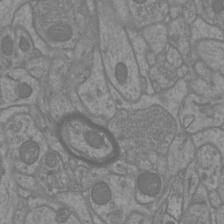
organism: Mouse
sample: Cortical neurons